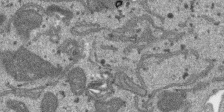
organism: Human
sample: Lung epithelial cells infected with SARS-CoV-2